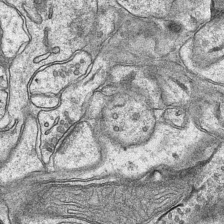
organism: Mouse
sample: CA1 Hippocampus